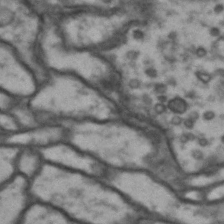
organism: Drosophila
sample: Brain